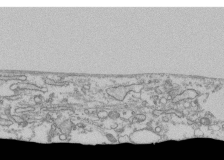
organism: Human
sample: Fibroblast cells